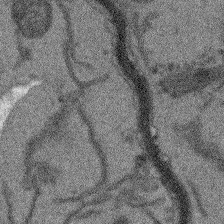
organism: Arabidopsis thaliana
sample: Root tip